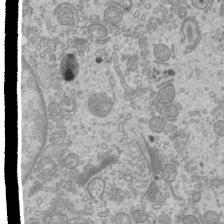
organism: Mouse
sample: Cilia; mouse epididymis